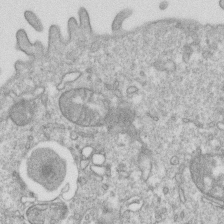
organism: Mouse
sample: Activated OT-1 CD8+ T cells